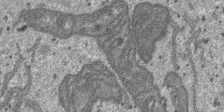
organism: Human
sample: Lung epithelial cells infected with SARS-CoV-2